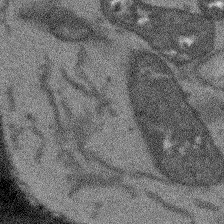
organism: Arabidopsis thaliana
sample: Root tip